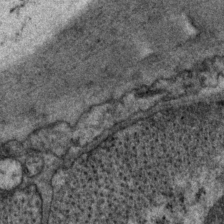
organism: P. pacificus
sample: Pharynx